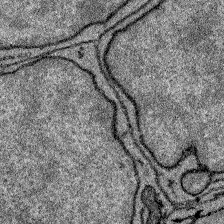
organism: Zebrafish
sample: Larval olfactory bulb